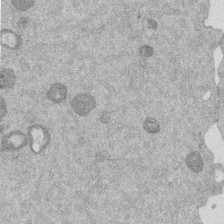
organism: Mouse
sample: Dividing mouse embryo 1 cell stage